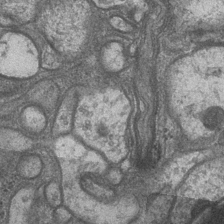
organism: Drosophila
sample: Optic medulla